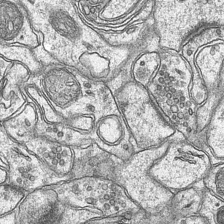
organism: Mouse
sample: CA1 Hippocampus